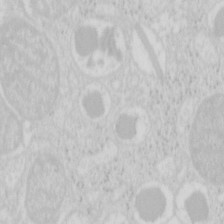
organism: Mouse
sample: Pancreas